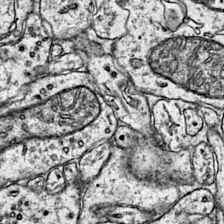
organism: Mouse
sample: Primary visual cortex